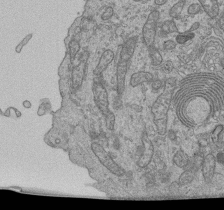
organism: Human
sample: Retinal organoid Rod and Cone cells